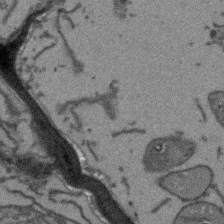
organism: Arabidopsis thaliana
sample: Root tip